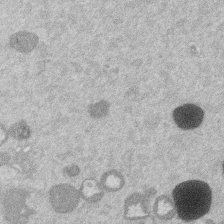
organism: Mouse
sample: Dividing mouse embryo 1 cell stage